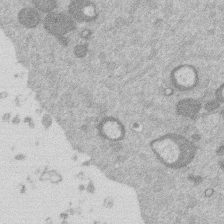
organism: Mouse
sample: Dividing mouse embryo 1 cell stage